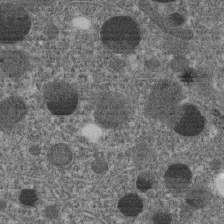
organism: C. elegans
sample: C. elegans embryo early stage